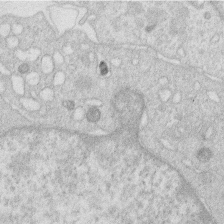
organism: Human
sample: Macrophage cells